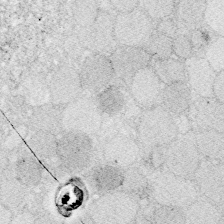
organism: Zebrafish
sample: Whole-Brain